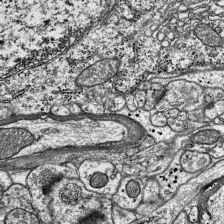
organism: Mouse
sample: Visual Cortex